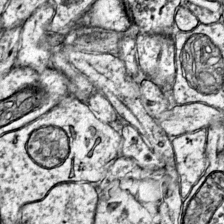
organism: Mouse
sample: Primary visual cortex